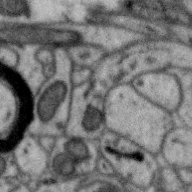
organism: Zebra finch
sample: Brain